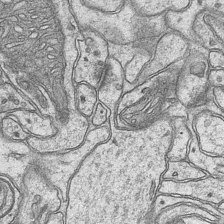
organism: Mouse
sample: CA1 Hippocampus